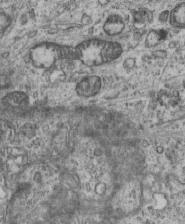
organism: Mouse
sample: Centriole in ependymal cells